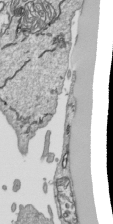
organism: Human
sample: Mitochondria in HCT116 cells